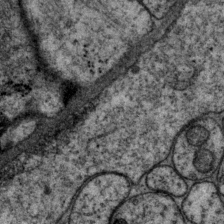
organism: P. pacificus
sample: Pharynx